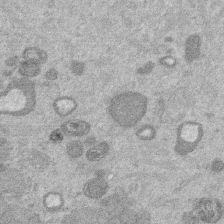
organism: Mouse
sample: Dividing mouse embryo 1 cell stage